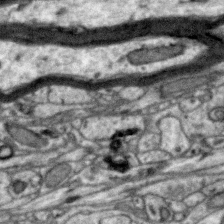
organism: Zebra finch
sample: Brain